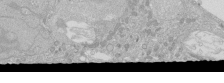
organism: Human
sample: Caco-2 cells